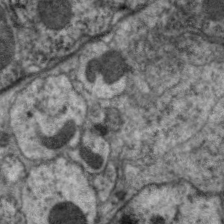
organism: C. elegans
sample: Pharynx